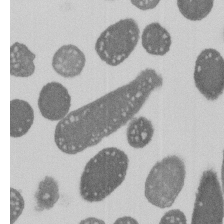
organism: E. coli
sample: Bacterial nucleoid